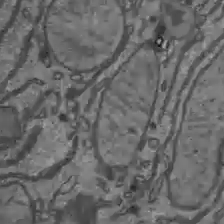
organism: C57BL Mouse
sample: Liver